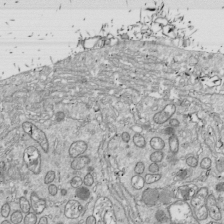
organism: Drosophila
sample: Cell division; meiosis; drosophila spermatocytes